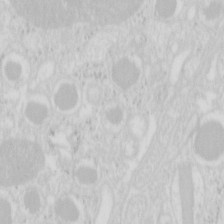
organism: Mouse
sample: Pancreas